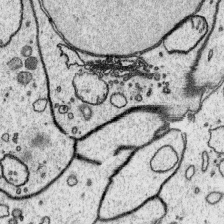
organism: Platynereis dumerilii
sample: Parapodia